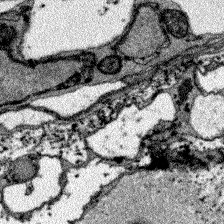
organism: Zebrafish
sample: Larval olfactory bulb